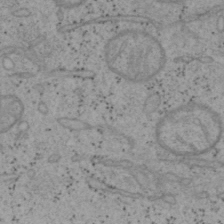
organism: Human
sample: HeLa cells